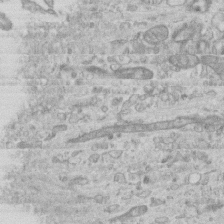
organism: Mouse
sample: Centriole in ependymal cells